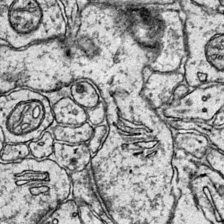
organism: Mouse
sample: Primary visual cortex